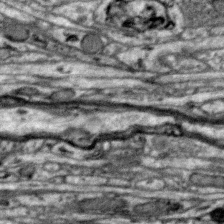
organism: Zebra finch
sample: Brain